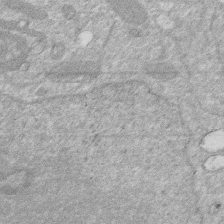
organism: Human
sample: HIV infected U937 cells